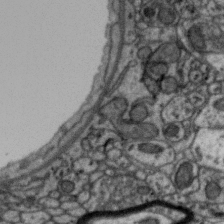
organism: Zebra finch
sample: Brain